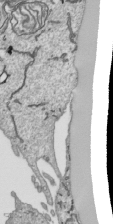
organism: Human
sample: Mitochondria in HCT116 cells